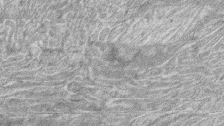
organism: Zebrafish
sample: synaptic ribbons in rod cells and cone cells